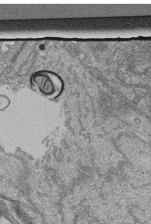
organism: Human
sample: Retinal organoid Rod and Cone cells